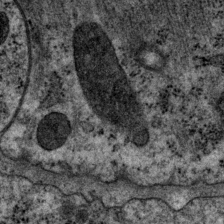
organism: P. pacificus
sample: Pharynx